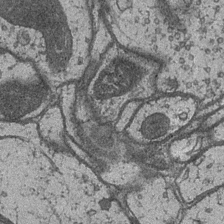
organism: Drosophila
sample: Optic medulla